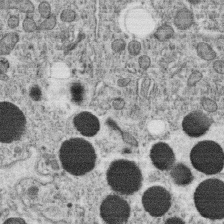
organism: C. elegans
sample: C. elegans oocyte; sperm cells